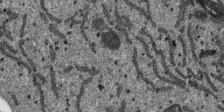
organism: Human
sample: Lung epithelial cells infected with SARS-CoV-2